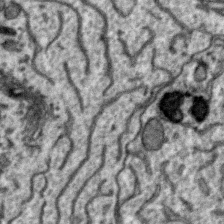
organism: Zebra finch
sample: Brain